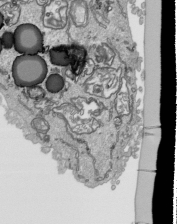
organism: Human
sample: Mitochondria in HCT116 cells